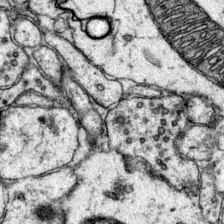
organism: Mouse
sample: Primary visual cortex